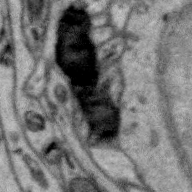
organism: Zebra finch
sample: Brain